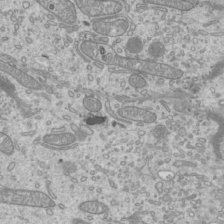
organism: Mouse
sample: Cilia; mouse epididymis